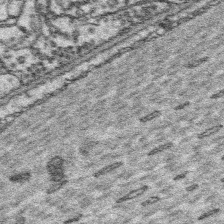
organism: Platynereis dumerilii